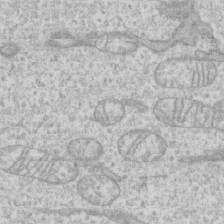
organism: Human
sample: CRL-1474